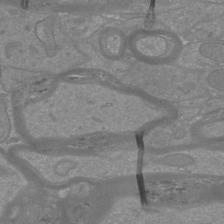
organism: Mouse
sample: Cortical neurons